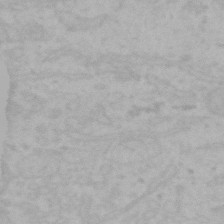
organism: Mouse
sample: Choroid plexus